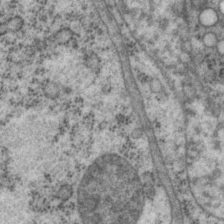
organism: P. pacificus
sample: Pharynx